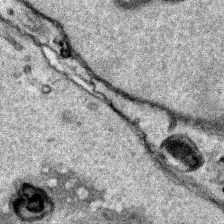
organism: Human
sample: Mitochondria in HCT116 cells